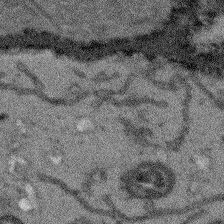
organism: Arabidopsis thaliana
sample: Root tip